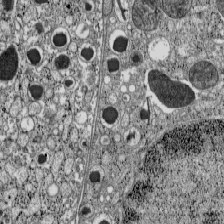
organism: C57BL Mouse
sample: Pancreatic islet